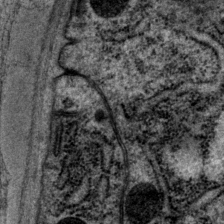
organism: P. pacificus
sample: Pharynx